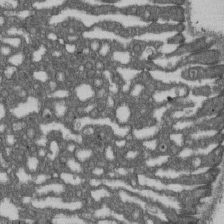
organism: Drosophila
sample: Nephrocyte